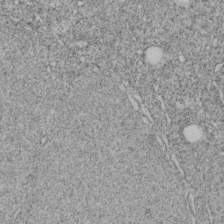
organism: C. elegans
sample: C. elegans embryo early stage